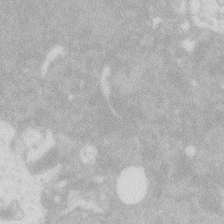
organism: Zebrafish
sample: Macrophage